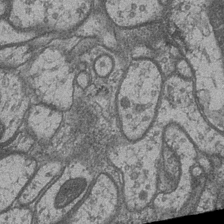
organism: Drosophila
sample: Optic medulla